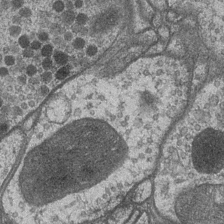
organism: Drosophila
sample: Optic medulla